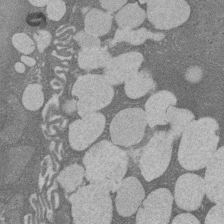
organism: Rat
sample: Salivary granule